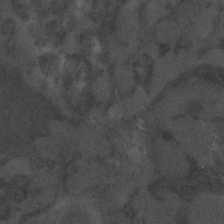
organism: C. elegans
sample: C. elegans embryo